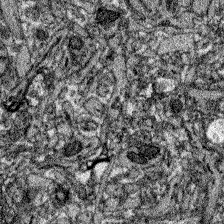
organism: Zebrafish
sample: Larval olfactory bulb